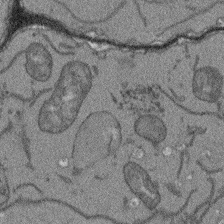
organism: Arabidopsis thaliana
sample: Root tip